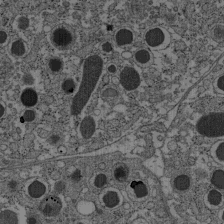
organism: C57BL Mouse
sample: Pancreatic islet